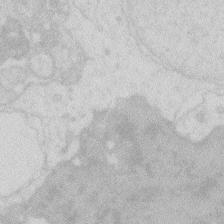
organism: Zebrafish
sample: Macrophage